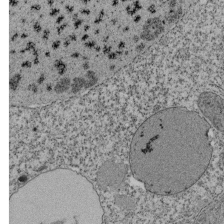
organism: Tetrahymena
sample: Cilia in tetrahymena